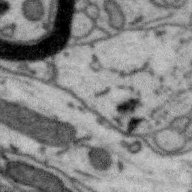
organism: Zebra finch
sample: Brain